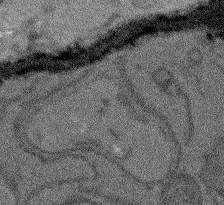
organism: Arabidopsis thaliana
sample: Root tip